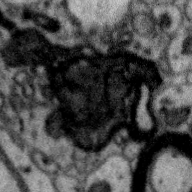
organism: Zebra finch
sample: Brain